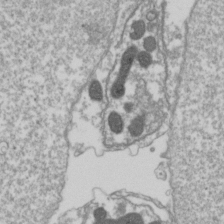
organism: Drosophila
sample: Cell division; meiosis; drosophila spermatocytes